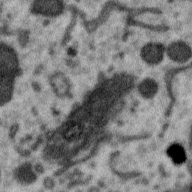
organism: Zebra finch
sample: Brain